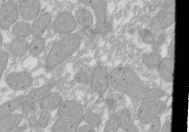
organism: Xenopus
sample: Cilia; centrioles in frog embryo cells